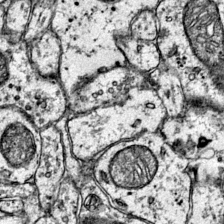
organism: Mouse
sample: Primary visual cortex